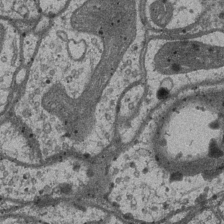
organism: Drosophila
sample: Optic medulla